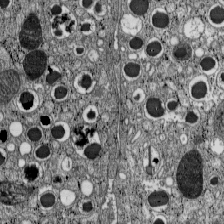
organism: C57BL Mouse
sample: Pancreatic islet